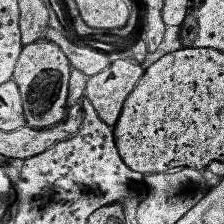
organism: Human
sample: Temporal Lobe